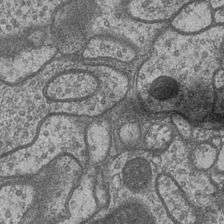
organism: Drosophila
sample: Optic medulla